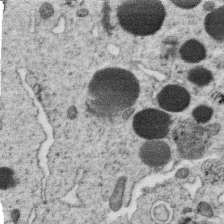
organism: C. elegans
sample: C. elegans oocyte; sperm cells